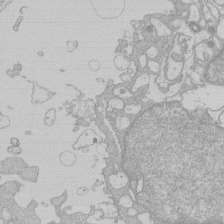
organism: Human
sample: Macrophage cells